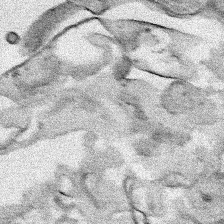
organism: Human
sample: Mitochondria in HCT116 cells